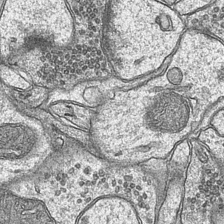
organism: Mouse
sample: CA1 Hippocampus